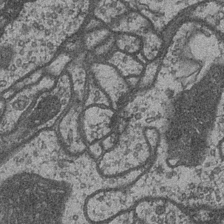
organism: Drosophila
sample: Optic medulla